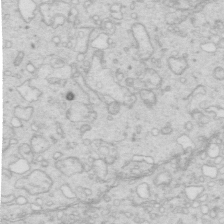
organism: Mouse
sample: Multiciliated cells